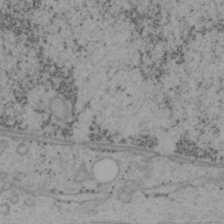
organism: Human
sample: HeLa cells